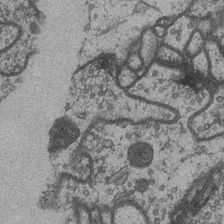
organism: Drosophila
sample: Optic medulla